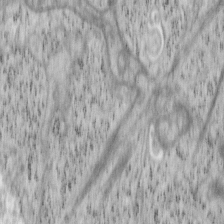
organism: Human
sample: HeLa cells